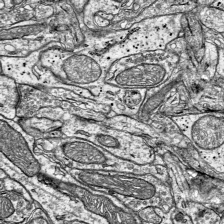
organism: Mouse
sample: Visual Cortex